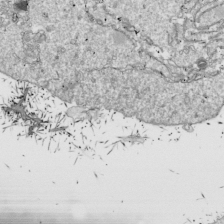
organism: Drosophila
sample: Cell division; meiosis; drosophila spermatocytes